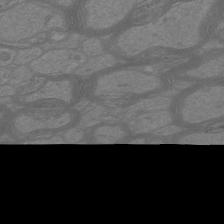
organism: Mouse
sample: Cortical neurons